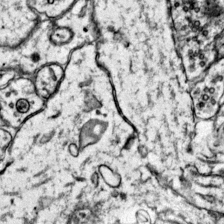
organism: Mouse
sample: Primary visual cortex